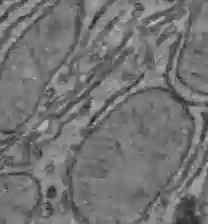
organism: C57BL Mouse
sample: Liver